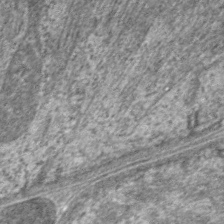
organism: C. elegans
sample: Pharynx